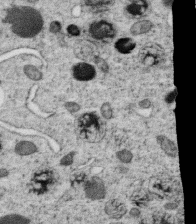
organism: C. elegans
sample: C. elegans oocyte; sperm cells